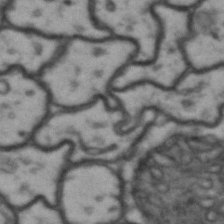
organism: Drosophila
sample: Brain